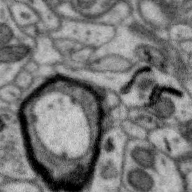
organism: Zebra finch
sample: Brain